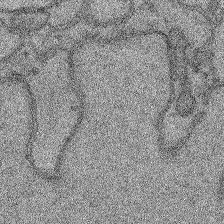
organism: Human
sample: HeLa cells